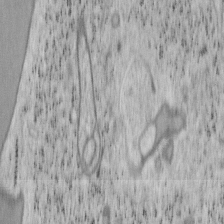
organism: Human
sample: HeLa cells